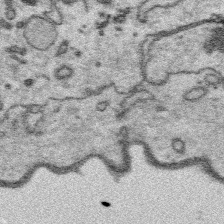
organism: Platynereis dumerilii